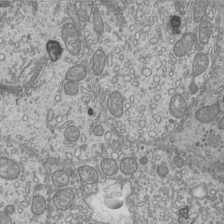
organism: Mouse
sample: Cilia; mouse epididymis